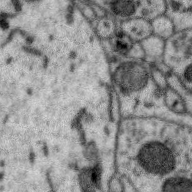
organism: Zebra finch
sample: Brain